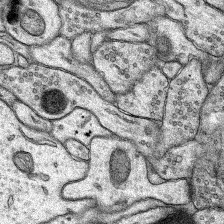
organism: Rat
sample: Hippocampus